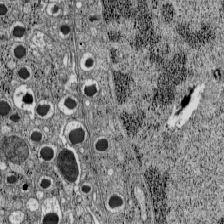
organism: C57BL Mouse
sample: Pancreatic islet